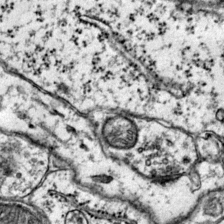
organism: Mouse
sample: Primary visual cortex